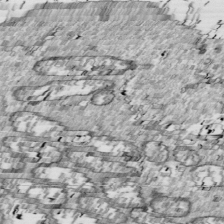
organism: Drosophila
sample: Cell division; meiosis; drosophila spermatocytes